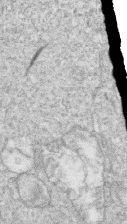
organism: Human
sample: HeLa cell HIV synapse